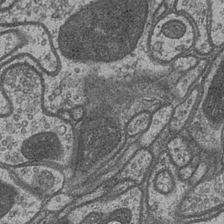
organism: Drosophila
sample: Optic medulla